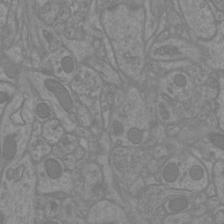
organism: Mouse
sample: Cortical neurons